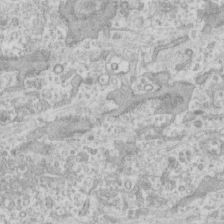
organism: Human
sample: CRL-1474